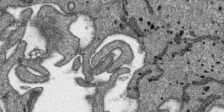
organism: Human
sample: Lung epithelial cells, uninfected (mock) control